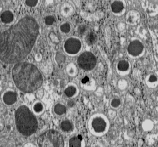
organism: C57BL Mouse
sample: Pancreatic islet